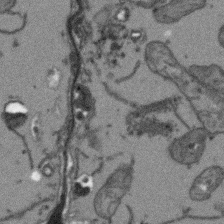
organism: Arabidopsis thaliana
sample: Root tip